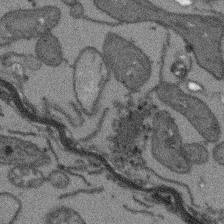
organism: Arabidopsis thaliana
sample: Root tip